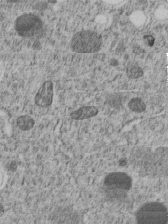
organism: C. elegans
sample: C. elegans embryo early stage